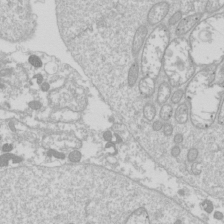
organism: Drosophila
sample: Cell division; meiosis; drosophila spermatocytes